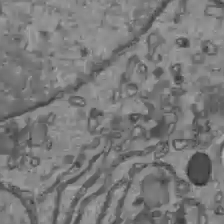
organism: C57BL Mouse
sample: Liver